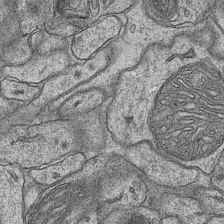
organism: Mouse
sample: CA1 Hippocampus